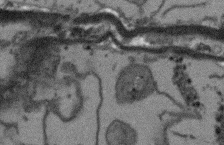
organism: Arabidopsis thaliana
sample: Root tip